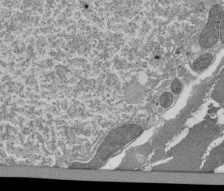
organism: Tetrahymena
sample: Cilia in tetrahymena